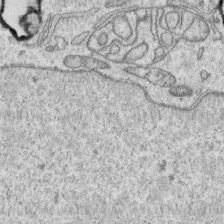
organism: Human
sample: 1205lu cells